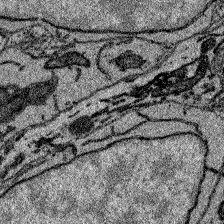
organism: Zebrafish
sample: Larval olfactory bulb